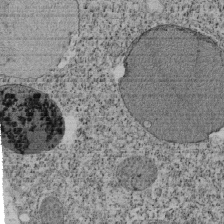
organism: Tetrahymena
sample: Cilia in tetrahymena